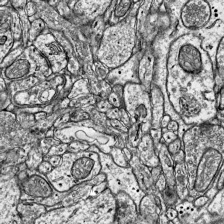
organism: Mouse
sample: Visual Cortex